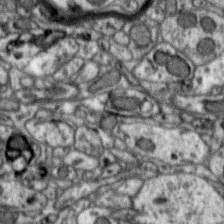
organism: Zebra finch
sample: Brain